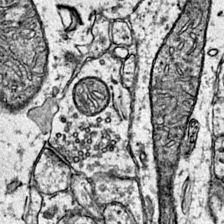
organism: Mouse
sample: Primary visual cortex